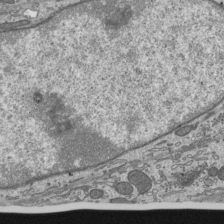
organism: Mouse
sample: Mouse epididymis efferent ductule cilia